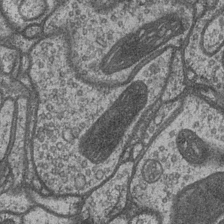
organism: Drosophila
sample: Optic medulla